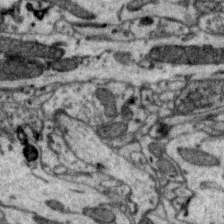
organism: Zebra finch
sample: Brain